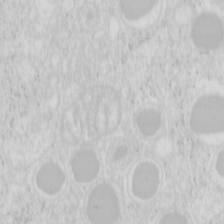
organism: Mouse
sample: Pancreas